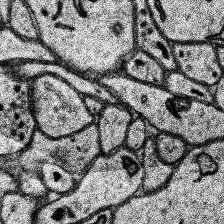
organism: Human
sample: Temporal Lobe